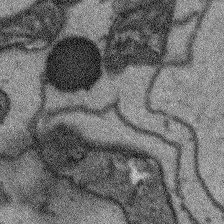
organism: Arabidopsis thaliana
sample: Root tip